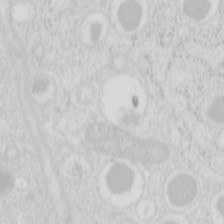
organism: Mouse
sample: Pancreas